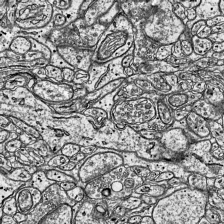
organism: Mouse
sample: Visual Cortex